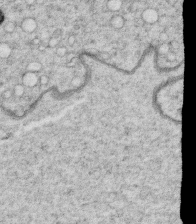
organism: C. elegans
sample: C. elegans oocyte; sperm cells